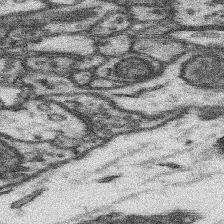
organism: Mouse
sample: Somatosensory cortex neuropil